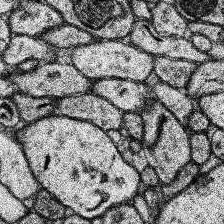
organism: Human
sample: Temporal Lobe